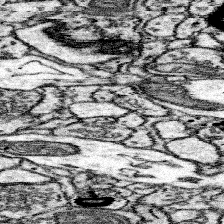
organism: Mouse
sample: Somatosensory cortex neuropil